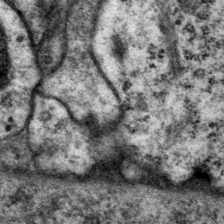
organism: P. pacificus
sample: Pharynx